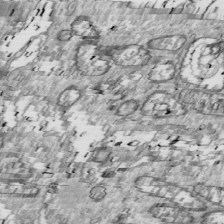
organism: Drosophila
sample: Cell division; meiosis; drosophila spermatocytes